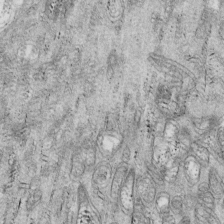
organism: Drosophila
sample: Cell division; meiosis; drosophila spermatocytes